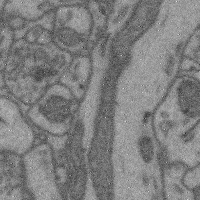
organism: Mouse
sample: Cerebral cortex